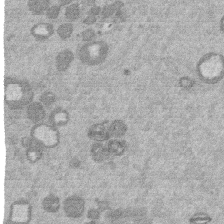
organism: Mouse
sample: Dividing mouse embryo 1 cell stage